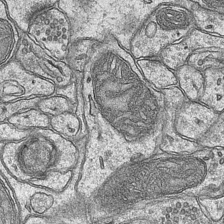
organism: Mouse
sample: CA1 Hippocampus